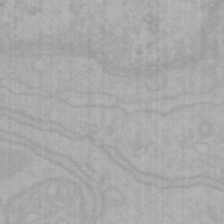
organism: Mouse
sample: Choroid plexus